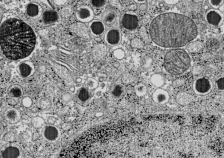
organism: C57BL Mouse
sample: Pancreatic islet